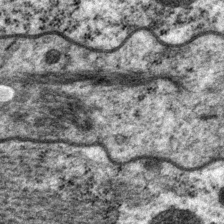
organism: P. pacificus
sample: Pharynx